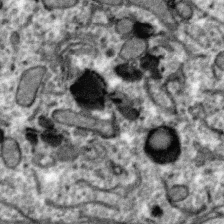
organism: Zebra finch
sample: Brain